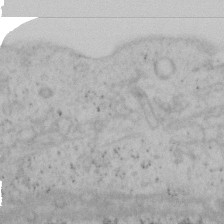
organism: Human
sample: HeLa cells